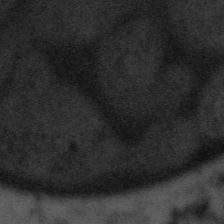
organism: Tuwongella immobilis